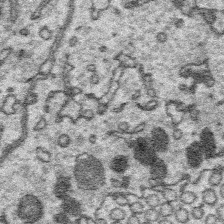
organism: Platynereis dumerilii